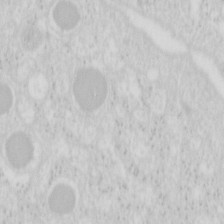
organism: Mouse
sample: Pancreas